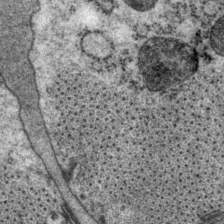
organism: P. pacificus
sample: Pharynx